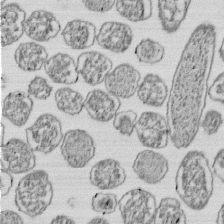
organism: E. coli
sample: Bacterial nucleoid